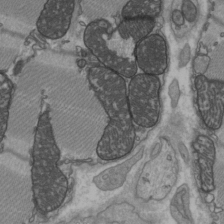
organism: C57BL Mouse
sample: Heart